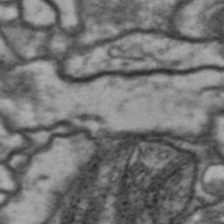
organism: Drosophila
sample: Brain